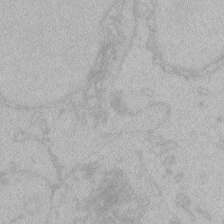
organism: Zebrafish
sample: Macrophage infected with Toxoplasma gondii